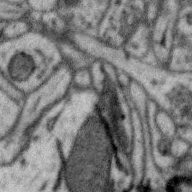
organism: Zebra finch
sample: Brain